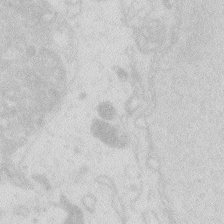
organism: Zebrafish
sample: Macrophage